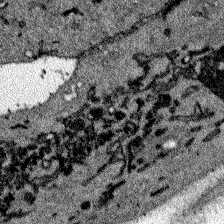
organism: Zebrafish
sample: Larval olfactory bulb